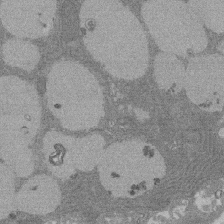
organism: Rat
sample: Salivary granule